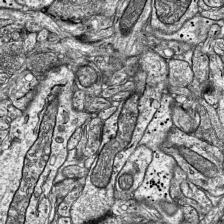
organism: Mouse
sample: Visual Cortex